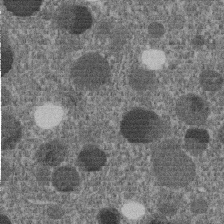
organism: C. elegans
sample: C. elegans embryo early stage